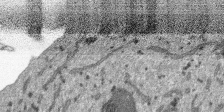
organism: Human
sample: Lung epithelial cells infected with SARS-CoV-2